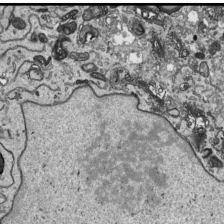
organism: Human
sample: Mitochondria in HCT116 cells